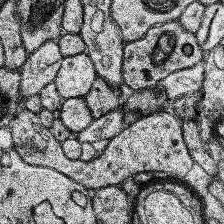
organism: Human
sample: Temporal Lobe